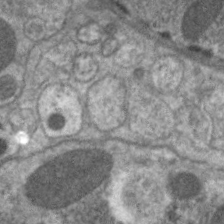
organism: C. elegans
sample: Pharynx